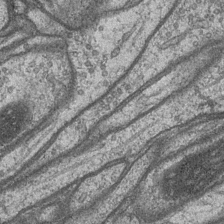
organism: Drosophila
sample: Optic medulla